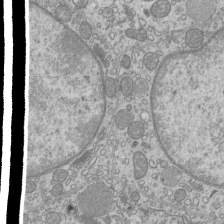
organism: Mouse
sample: Cilia; mouse epididymis